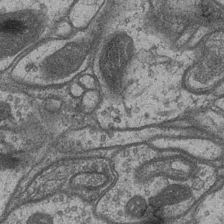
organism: Drosophila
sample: Optic medulla